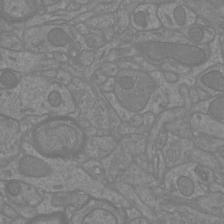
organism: Mouse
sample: Cortical neurons